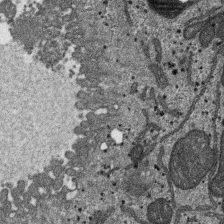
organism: Human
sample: Lung epithelial cells infected with SARS-CoV-2